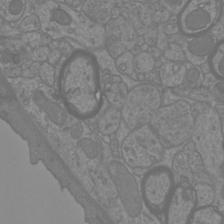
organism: Mouse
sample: Cortical neurons